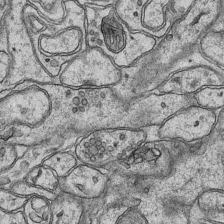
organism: Mouse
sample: CA1 Hippocampus